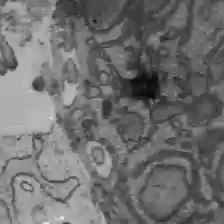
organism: C57BL Mouse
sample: Liver